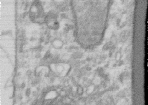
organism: Human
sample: Centriole in RPE cells